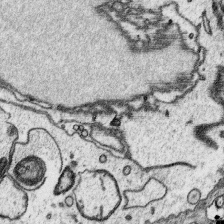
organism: Platynereis dumerilii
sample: Parapodia